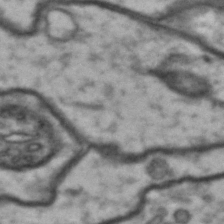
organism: Drosophila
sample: Brain